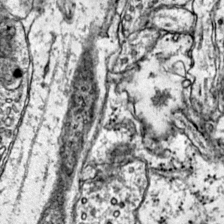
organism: Mouse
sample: Primary visual cortex